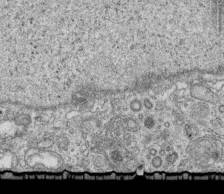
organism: Human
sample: HeLa cell HIV synapse